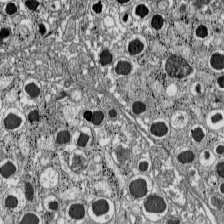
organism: C57BL Mouse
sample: Pancreatic islet